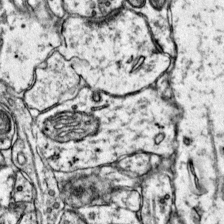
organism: Mouse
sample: Primary visual cortex